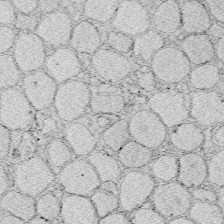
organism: Zebrafish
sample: Whole-Brain